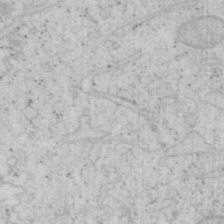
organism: Human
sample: HeLa cells